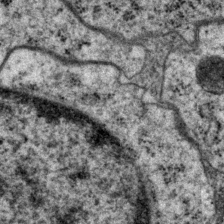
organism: P. pacificus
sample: Pharynx